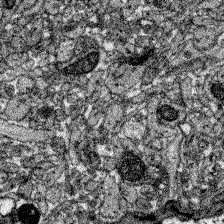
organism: Zebrafish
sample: Larval olfactory bulb